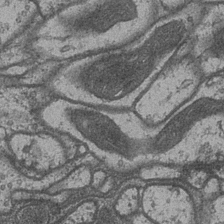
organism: Drosophila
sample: Optic medulla